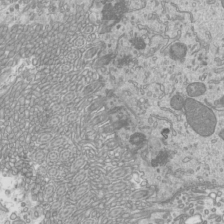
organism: Mouse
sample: Cilia; mouse epididymis